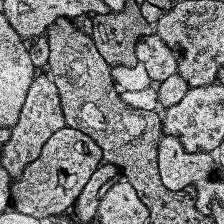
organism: Human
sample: Temporal Lobe